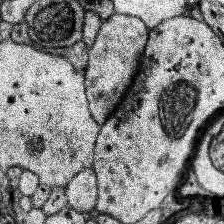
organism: Human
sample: Temporal Lobe